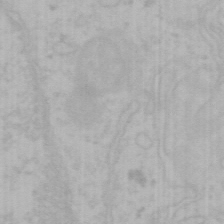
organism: Mouse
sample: Choroid plexus